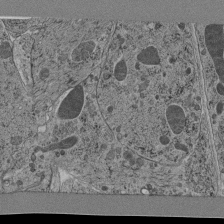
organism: C. elegans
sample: C. elegans pharynx